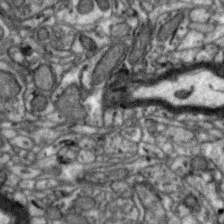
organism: Zebra finch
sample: Brain